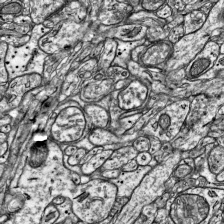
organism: Mouse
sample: Visual Cortex